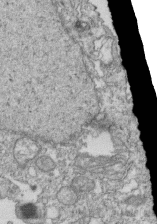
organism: Human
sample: HeLa cell HIV synapse